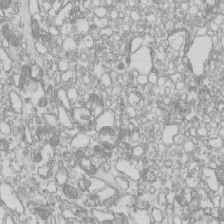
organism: Mouse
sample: Macrophages